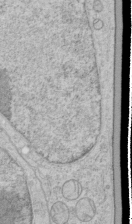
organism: Human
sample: Mitochondria in HCT116 cells